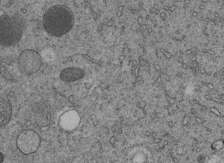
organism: C. elegans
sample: C. elegans embryo early stage